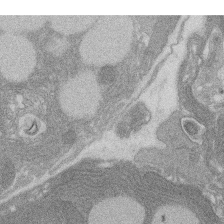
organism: Rat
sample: Salivary granule